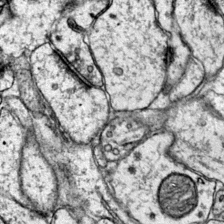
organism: Mouse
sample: Primary visual cortex